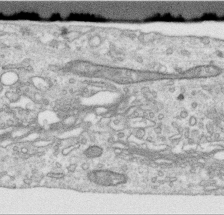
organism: Human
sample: Centriole in RPE cells